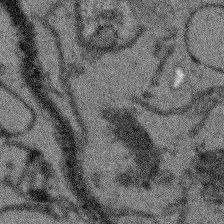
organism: Arabidopsis thaliana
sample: Root tip